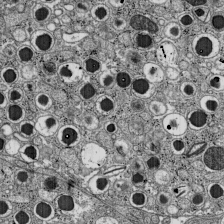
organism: C57BL Mouse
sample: Pancreatic islet